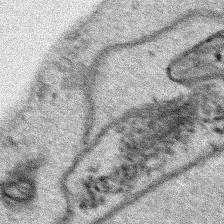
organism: Human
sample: Mitochondria in HCT116 cells